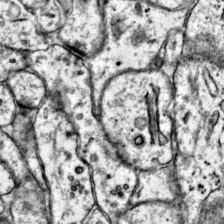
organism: Mouse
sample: Primary visual cortex